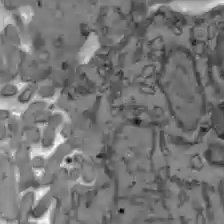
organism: C57BL Mouse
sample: Liver